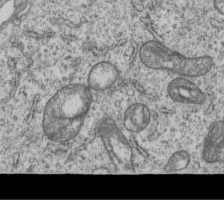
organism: Human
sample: MDA-MB-231 cells